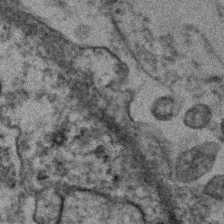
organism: Human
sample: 1205lu cells